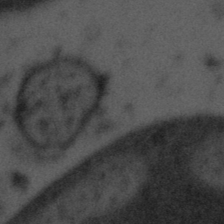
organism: Tuwongella immobilis